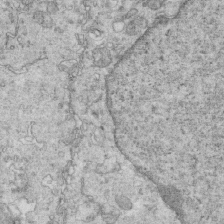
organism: Mouse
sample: Multiciliated cells